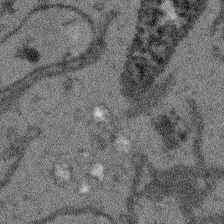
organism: Arabidopsis thaliana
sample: Root tip